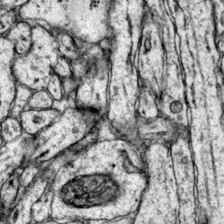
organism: Mouse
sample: Primary visual cortex